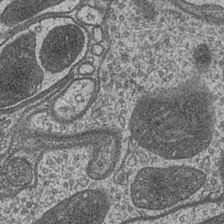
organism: Drosophila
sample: Optic medulla